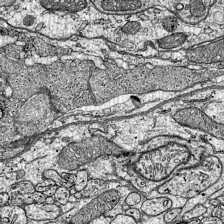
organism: Mouse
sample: Visual Cortex